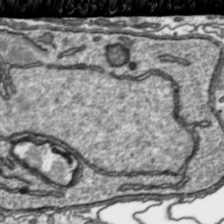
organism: Toxoplasma gondii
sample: Parasites in a vacuole inside a host cell